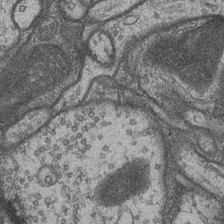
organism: Drosophila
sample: Optic medulla